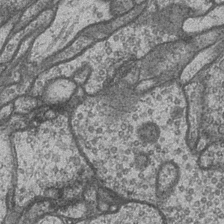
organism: Drosophila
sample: Optic medulla